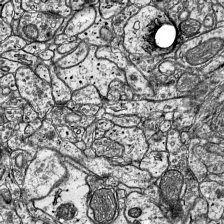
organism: Mouse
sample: Visual Cortex